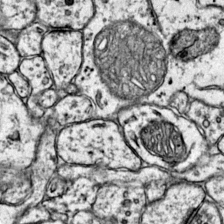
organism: Mouse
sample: Primary visual cortex